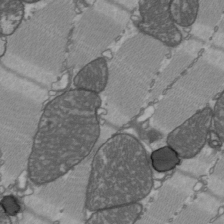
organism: C57BL Mouse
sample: Heart